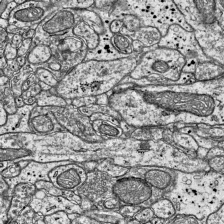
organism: Mouse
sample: Visual Cortex